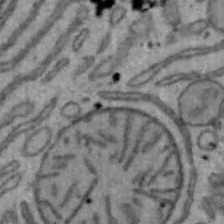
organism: Mouse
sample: Liver